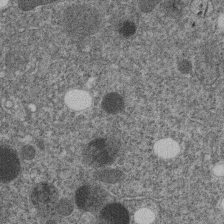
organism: C. elegans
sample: C. elegans embryo early stage